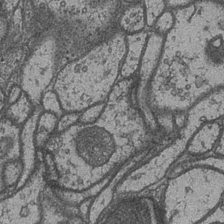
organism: Drosophila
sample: Optic medulla